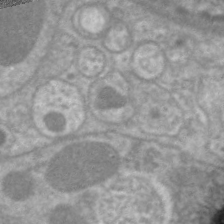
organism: C. elegans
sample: Pharynx